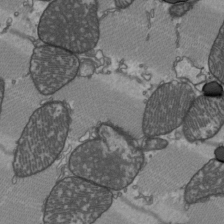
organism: C57BL Mouse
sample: Heart